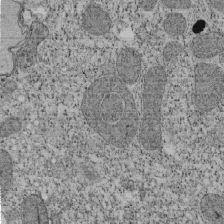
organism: Tetrahymena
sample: Cilia in tetrahymena